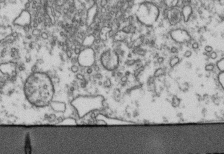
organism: Human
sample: Activated Jurkat CD4+ T cells